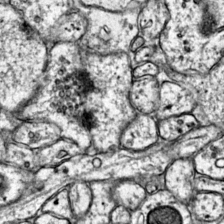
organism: Mouse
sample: Primary visual cortex